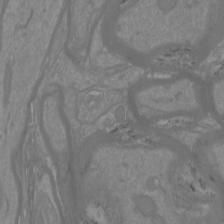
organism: Mouse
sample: Cortical neurons